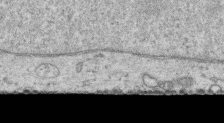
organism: Human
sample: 1205lu cells